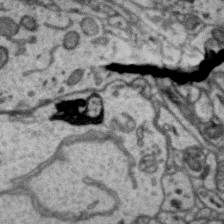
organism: Zebra finch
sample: Brain